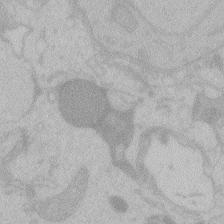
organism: Zebrafish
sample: Macrophage infected with Toxoplasma gondii